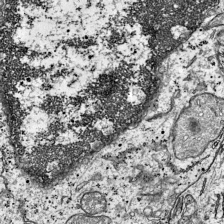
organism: Mouse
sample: Visual Cortex